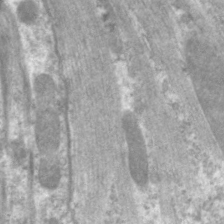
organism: C. elegans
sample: Pharynx